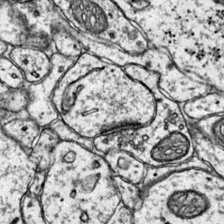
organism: Mouse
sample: Primary visual cortex